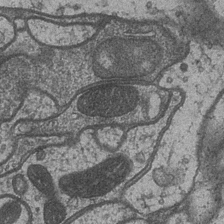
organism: Drosophila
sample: Optic medulla